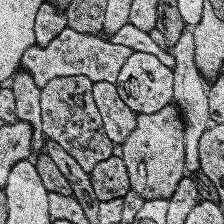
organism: Human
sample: Temporal Lobe